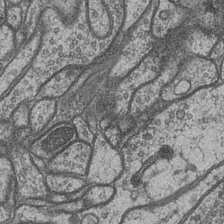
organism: Drosophila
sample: Optic medulla